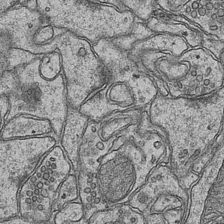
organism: Mouse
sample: CA1 Hippocampus